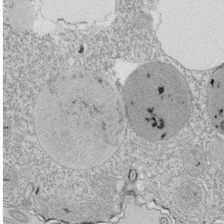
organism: Tetrahymena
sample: Cilia in tetrahymena